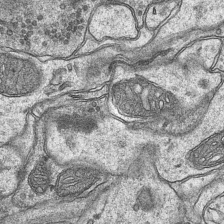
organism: Mouse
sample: CA1 Hippocampus